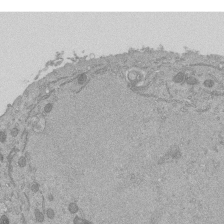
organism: Mouse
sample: ED-1 cell nuclei; centrioles